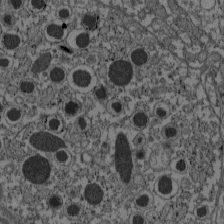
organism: C57BL Mouse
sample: Pancreatic islet